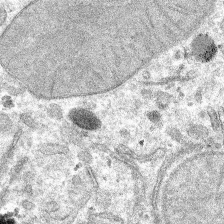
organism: Mouse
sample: Mouse hepatocytes